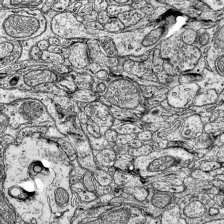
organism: Mouse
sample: Visual Cortex